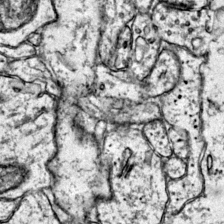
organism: Mouse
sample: Primary visual cortex